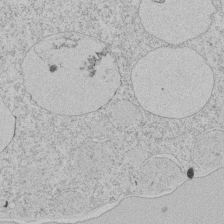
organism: Tetrahymena